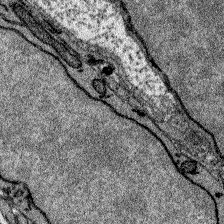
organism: Zebrafish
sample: Larval olfactory bulb